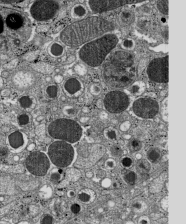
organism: C57BL Mouse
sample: Pancreatic islet